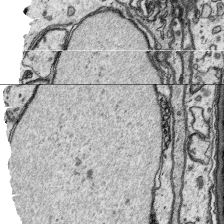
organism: Platynereis dumerilii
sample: Parapodia